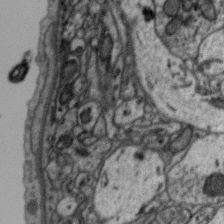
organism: Zebra finch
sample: Brain